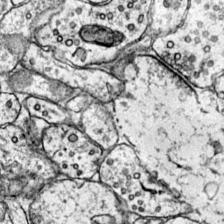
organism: Mouse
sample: Primary visual cortex